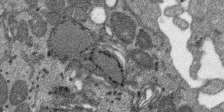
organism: Human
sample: Lung epithelial cells infected with SARS-CoV-2